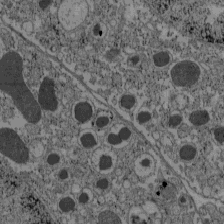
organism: C57BL Mouse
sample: Pancreatic islet